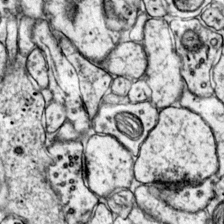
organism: Mouse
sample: Primary visual cortex